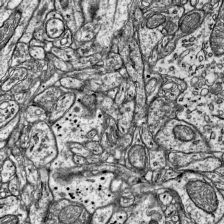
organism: Mouse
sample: Visual Cortex